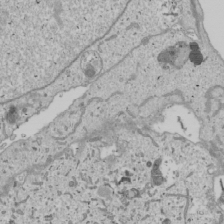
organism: Human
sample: Mitochondria in U2OS cells